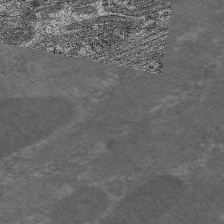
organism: C. elegans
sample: Pharynx